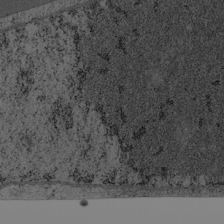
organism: African green monkey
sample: COS-7 cells